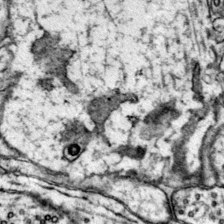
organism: Mouse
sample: Primary visual cortex